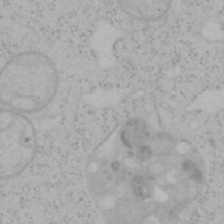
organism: Mouse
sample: OT-I killer T cells with ID8 ovarian cancer cells